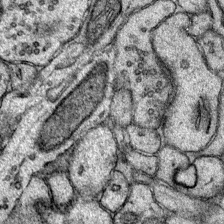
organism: Mouse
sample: Primary visual cortex